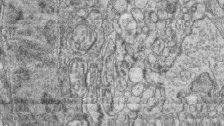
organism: Zebrafish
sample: synaptic ribbons in rod cells and cone cells